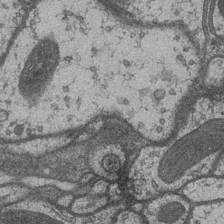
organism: Drosophila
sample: Optic medulla